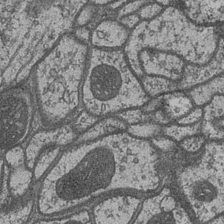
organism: Drosophila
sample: Optic medulla